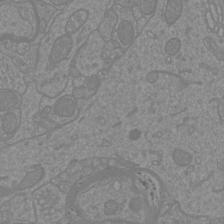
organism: Mouse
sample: Cortical neurons